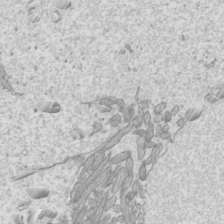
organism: Mouse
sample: Cilia; mouse epididymis